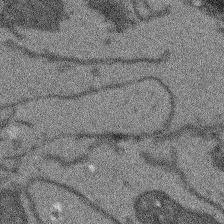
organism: Arabidopsis thaliana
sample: Root tip